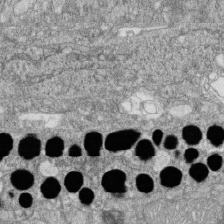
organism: Zebrafish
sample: Cilia; retinal pigment epithelium